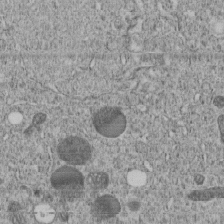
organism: C. elegans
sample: C. elegans embryo early stage